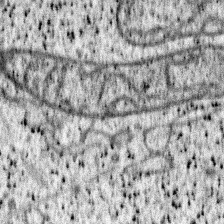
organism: Human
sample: HeLa cells